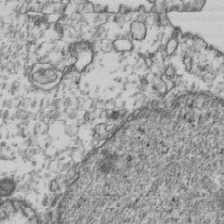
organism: Human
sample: Activated Jurkat CD4+ T cells